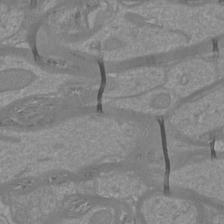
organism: Mouse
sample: Cortical neurons